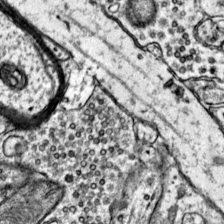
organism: Mouse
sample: Primary visual cortex